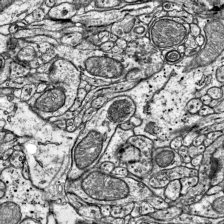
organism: Mouse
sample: Visual Cortex